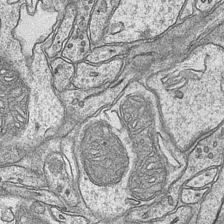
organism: Mouse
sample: CA1 Hippocampus